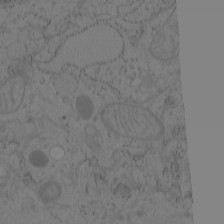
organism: Human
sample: HeLa cells